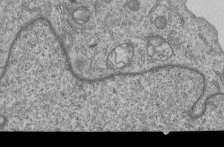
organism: Human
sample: MDA-MB-231 cells